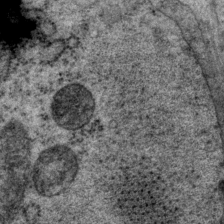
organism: P. pacificus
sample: Pharynx